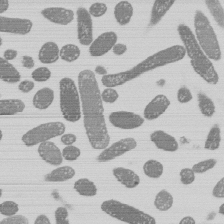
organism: E. coli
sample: Bacterial nucleoid